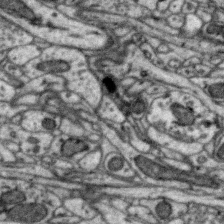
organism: Zebra finch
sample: Brain